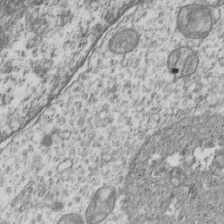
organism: Human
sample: MDA-MB-231 cells